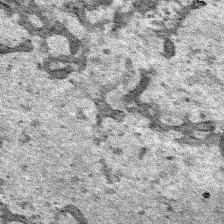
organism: Human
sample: Mitochondria in HCT116 cells